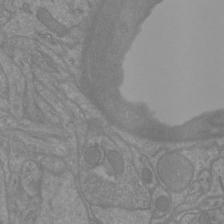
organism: Mouse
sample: Cortical neurons